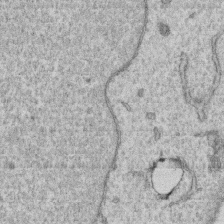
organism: Human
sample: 1205lu cells